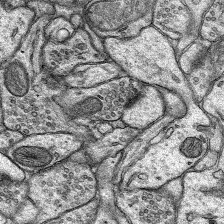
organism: Rat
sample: Hippocampus